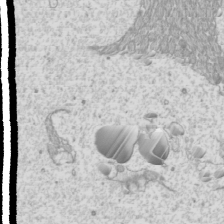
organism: Mouse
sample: Cilia; mouse epididymis